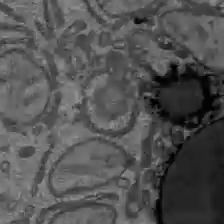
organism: C57BL Mouse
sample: Liver